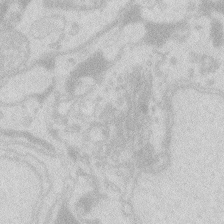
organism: Zebrafish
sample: Macrophage